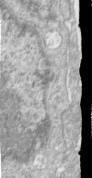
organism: Human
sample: Centriole in RPE cells